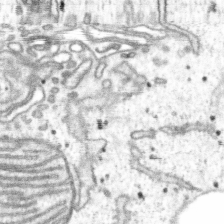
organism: Human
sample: HeLa cells